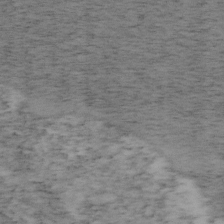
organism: Mouse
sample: OT-I killer T cells with ID8 ovarian cancer cells